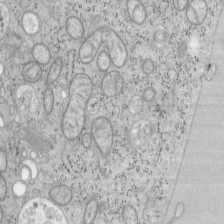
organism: Mouse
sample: OT-I killer T cells with ID8 ovarian cancer cells